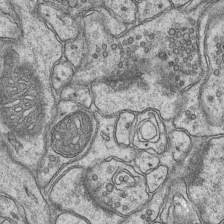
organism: Mouse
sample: CA1 Hippocampus